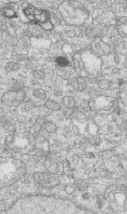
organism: Human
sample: HeLa cell HIV synapse